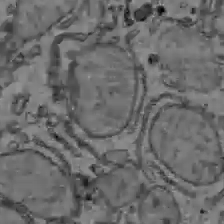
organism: C57BL Mouse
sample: Liver